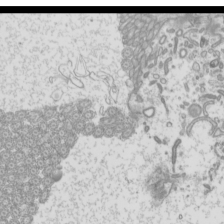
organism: Mouse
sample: Cilia; mouse epididymis